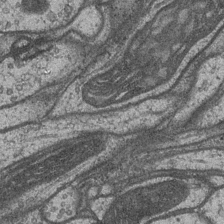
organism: Drosophila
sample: Optic medulla